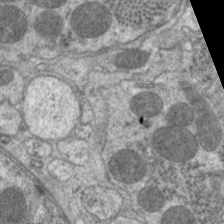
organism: C. elegans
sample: Pharynx